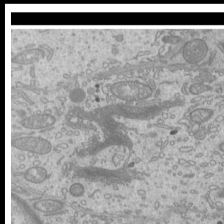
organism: Mouse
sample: Cilia; mouse epididymis